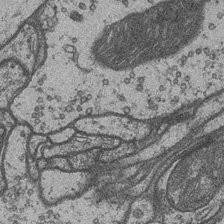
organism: Drosophila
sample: Optic medulla